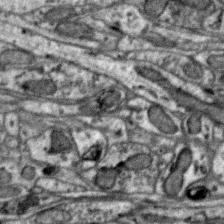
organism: Zebra finch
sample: Brain